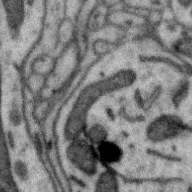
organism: Zebra finch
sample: Brain